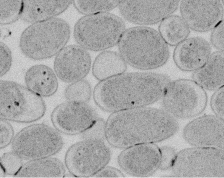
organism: E. coli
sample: Bacterial nucleoid